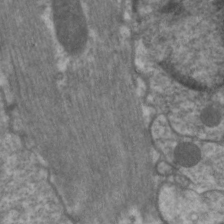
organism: C. elegans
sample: Pharynx